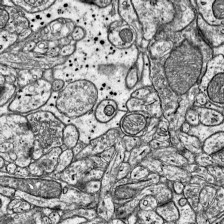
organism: Mouse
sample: Visual Cortex